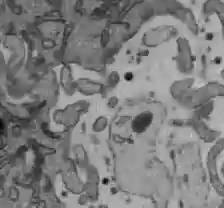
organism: C57BL Mouse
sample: Liver